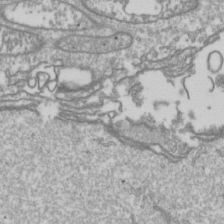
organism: Drosophila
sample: Cell division; meiosis; drosophila spermatocytes